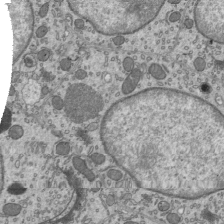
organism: Mouse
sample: Mouse epididymis efferent ductule cilia